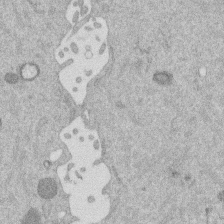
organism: Mouse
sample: Dividing mouse embryo 1 cell stage